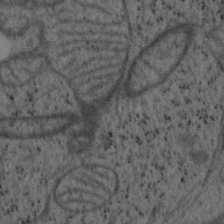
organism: Human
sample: HeLa cells